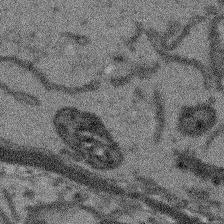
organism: Arabidopsis thaliana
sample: Root tip